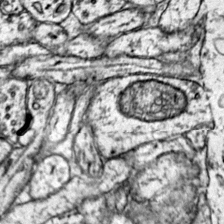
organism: Mouse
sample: Primary visual cortex